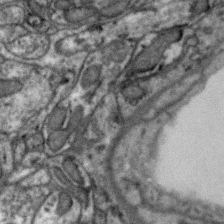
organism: Zebra finch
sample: Brain